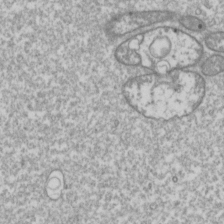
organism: Drosophila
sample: Cell division; meiosis; drosophila spermatocytes